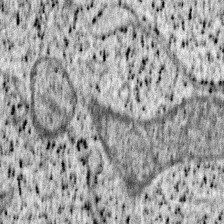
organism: Human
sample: HeLa cells